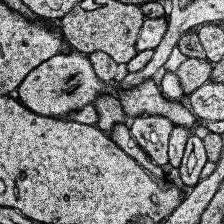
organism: Human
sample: Temporal Lobe